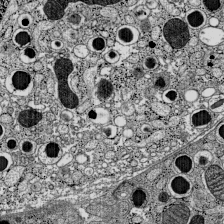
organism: C57BL Mouse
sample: Pancreatic islet